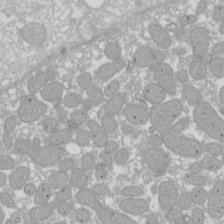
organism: Xenopus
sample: Cilia; centrioles in frog embryo cells